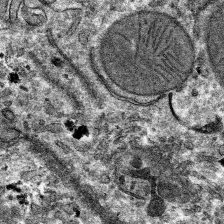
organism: Mouse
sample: Mouse hepatocytes